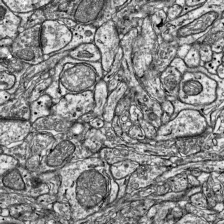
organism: Mouse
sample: Visual Cortex